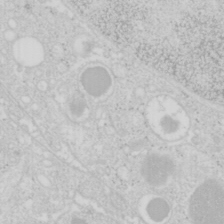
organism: Mouse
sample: Pancreas